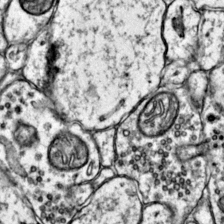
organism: Mouse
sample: Primary visual cortex